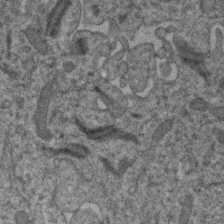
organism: Human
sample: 1205lu cells